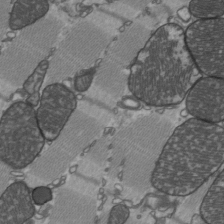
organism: C57BL Mouse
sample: Heart